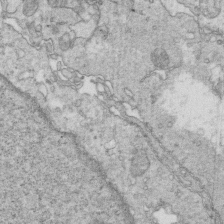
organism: Mouse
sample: Multiciliated cells